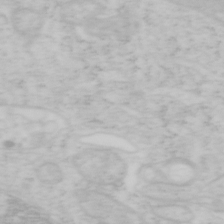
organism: Mouse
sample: OT-I killer T cells with ID8 ovarian cancer cells